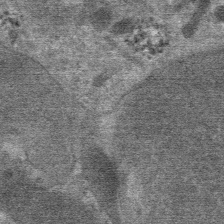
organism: Mouse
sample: Mouse Salivary gland